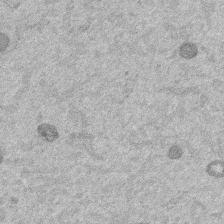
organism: Mouse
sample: Dividing mouse embryo 1 cell stage